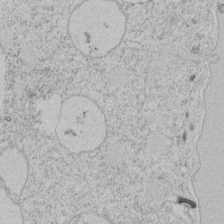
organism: Tetrahymena